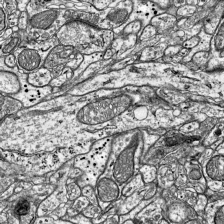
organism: Mouse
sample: Visual Cortex